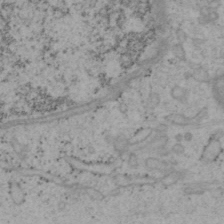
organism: Human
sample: HeLa cells